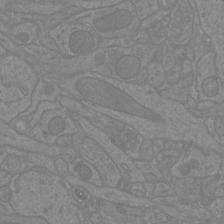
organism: Mouse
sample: Cortical neurons